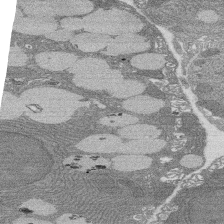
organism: Rat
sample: Salivary granule